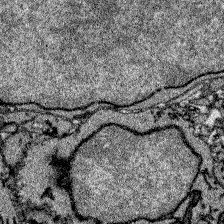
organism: Zebrafish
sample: Larval olfactory bulb